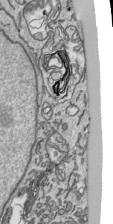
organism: Human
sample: Mitochondria in HCT116 cells